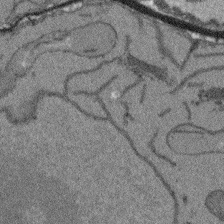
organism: Arabidopsis thaliana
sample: Root tip